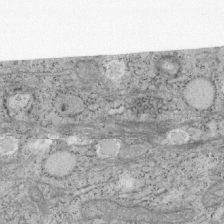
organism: Human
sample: HeLa cells